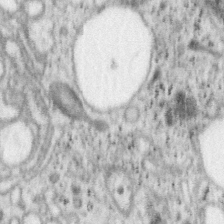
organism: Mouse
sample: OT-I killer T cells with ID8 ovarian cancer cells